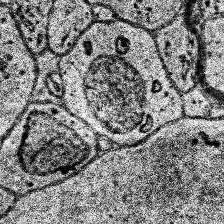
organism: Human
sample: Temporal Lobe